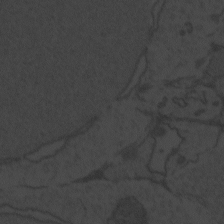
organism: Zebrafish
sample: Macrophage infected with Toxoplasma gondii